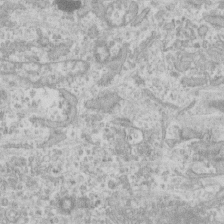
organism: Human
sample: CRL-1474